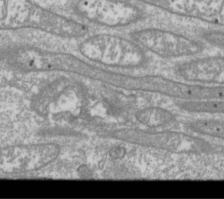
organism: Drosophila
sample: Cell division; meiosis; drosophila spermatocytes